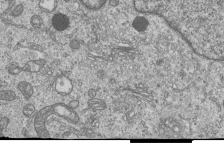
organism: Human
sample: MDA-MB-231 cells